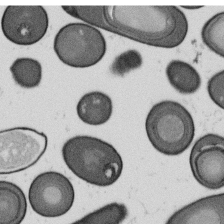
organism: B. subtilis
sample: Bacterial spore